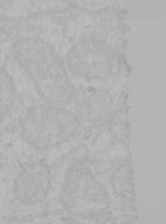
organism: Mouse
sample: Choroid plexus